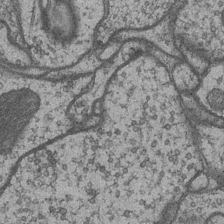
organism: Drosophila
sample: Optic medulla